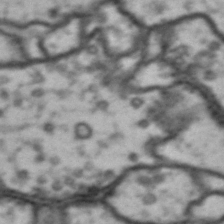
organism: Drosophila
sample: Brain